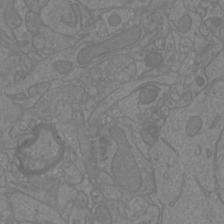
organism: Mouse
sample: Cortical neurons